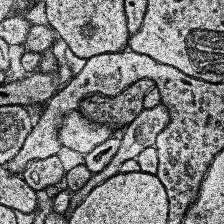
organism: Human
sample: Temporal Lobe